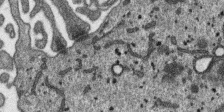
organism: Human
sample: Lung epithelial cells infected with SARS-CoV-2